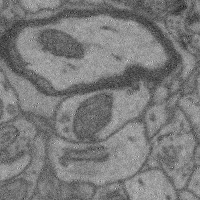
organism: Mouse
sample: Cerebral cortex